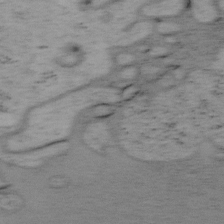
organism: Mouse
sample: OT-I killer T cells with ID8 ovarian cancer cells